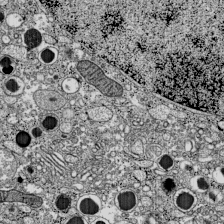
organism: C57BL Mouse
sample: Pancreatic islet